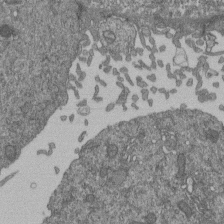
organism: Human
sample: Retinal organoid Rod and Cone cells